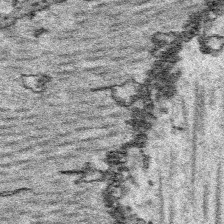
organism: Platynereis dumerilii